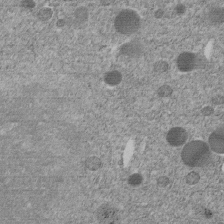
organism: C. elegans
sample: C. elegans embryo early stage